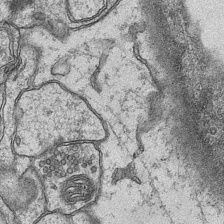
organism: Mouse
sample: CA1 Hippocampus